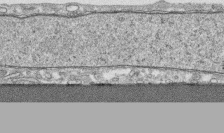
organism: Human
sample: CRL-1474